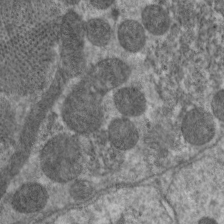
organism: C. elegans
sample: Pharynx